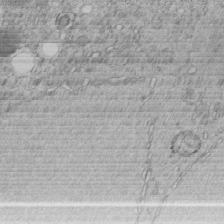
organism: C. elegans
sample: C. elegans embryo early stage